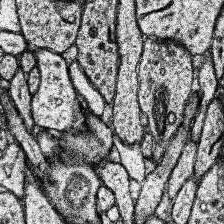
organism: Human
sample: Temporal Lobe